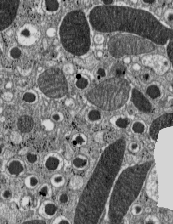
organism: C57BL Mouse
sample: Pancreatic islet